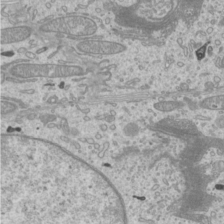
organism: Mouse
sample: Cilia; mouse epididymis